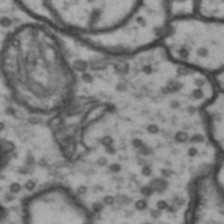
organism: Drosophila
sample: Brain